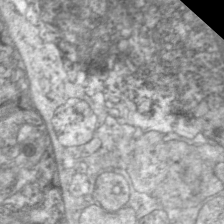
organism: C. elegans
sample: Pharynx